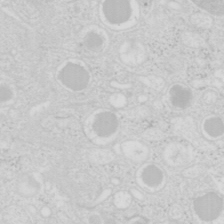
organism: Mouse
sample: Pancreas